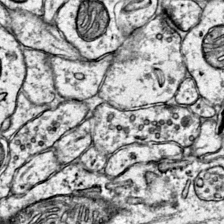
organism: Mouse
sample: Primary visual cortex